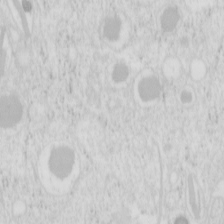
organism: Mouse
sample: Pancreas